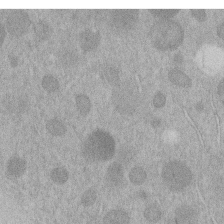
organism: C. elegans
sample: C. elegans embryo early stage